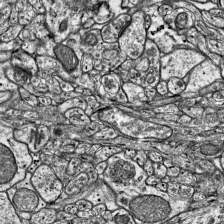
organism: Mouse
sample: Visual Cortex